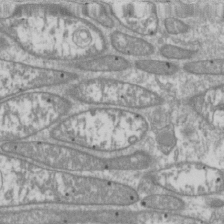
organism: Drosophila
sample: Cell division; meiosis; drosophila spermatocytes